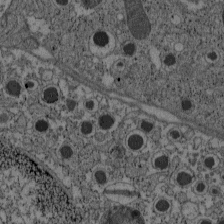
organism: C57BL Mouse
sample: Pancreatic islet